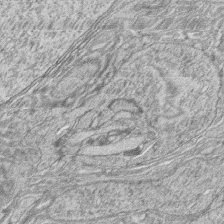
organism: Zebrafish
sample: synaptic ribbons in rod cells and cone cells